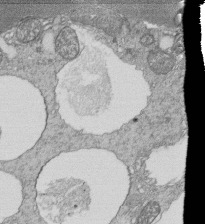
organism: Tetrahymena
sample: Cilia in tetrahymena